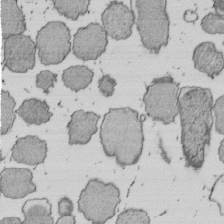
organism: E. coli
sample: Bacterial nucleoid